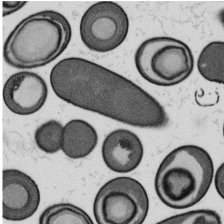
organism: B. subtilis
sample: Bacterial spore